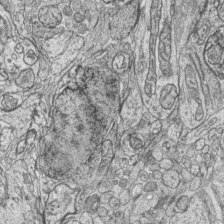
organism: Zebrafish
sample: synaptic ribbons in rod cells and cone cells